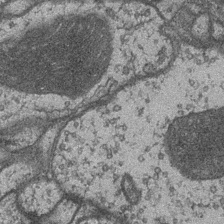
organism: Drosophila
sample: Optic medulla